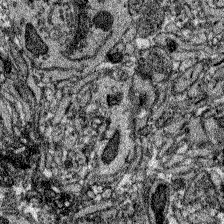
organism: Zebrafish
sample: Larval olfactory bulb